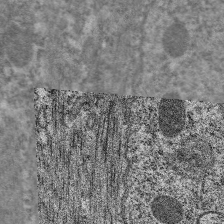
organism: C. elegans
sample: Pharynx